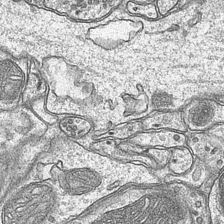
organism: Mouse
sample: CA1 Hippocampus